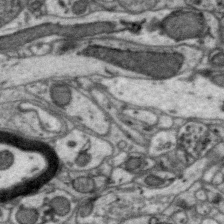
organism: Zebra finch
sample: Brain